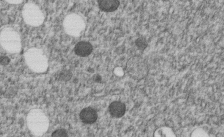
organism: C. elegans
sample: C. elegans embryo early stage